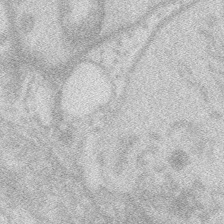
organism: Zebrafish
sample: Macrophage